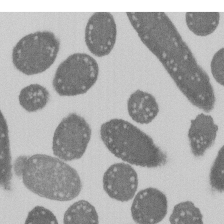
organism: E. coli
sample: Bacterial nucleoid